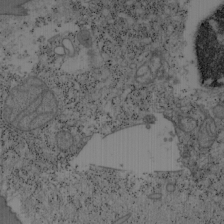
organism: Mouse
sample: OT-I killer T cells with ID8 ovarian cancer cells